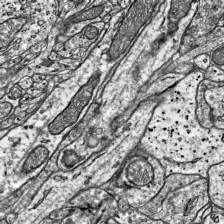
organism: Mouse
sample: Visual Cortex